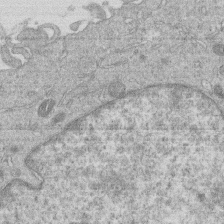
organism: Human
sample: Macrophage cells